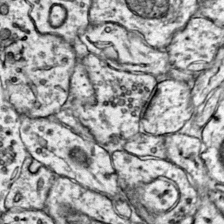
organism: Mouse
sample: Primary visual cortex